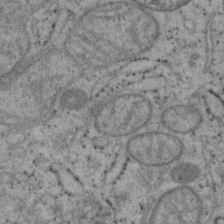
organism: Human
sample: HeLa cells